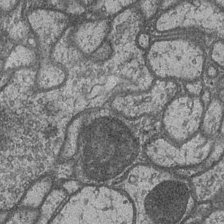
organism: Drosophila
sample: Optic medulla